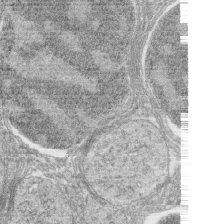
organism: Zebrafish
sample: synaptic ribbons in rod cells and cone cells